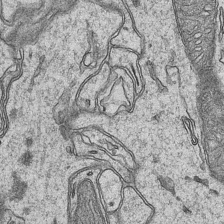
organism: Mouse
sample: CA1 Hippocampus